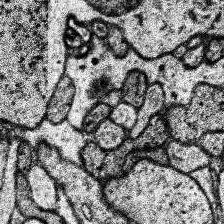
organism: Human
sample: Temporal Lobe